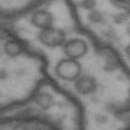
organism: Drosophila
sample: Brain